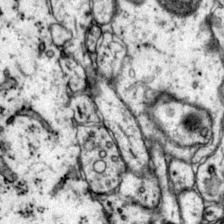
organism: Mouse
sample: Primary visual cortex